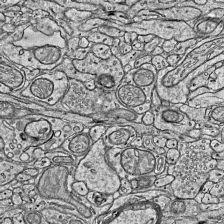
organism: Mouse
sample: Visual Cortex